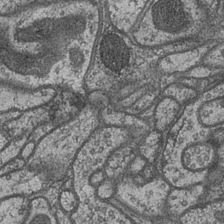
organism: Drosophila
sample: Optic medulla